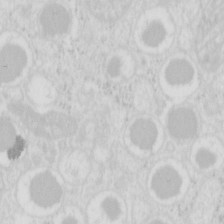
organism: Mouse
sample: Pancreas